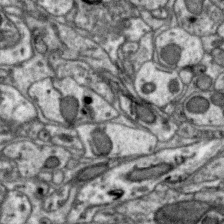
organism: Zebra finch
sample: Brain